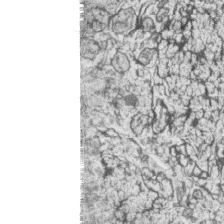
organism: Zebrafish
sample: synaptic ribbons in rod cells and cone cells